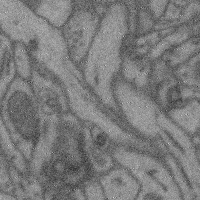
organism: Mouse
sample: Cerebral cortex